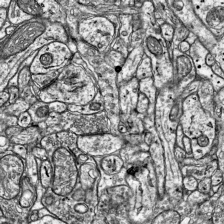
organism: Mouse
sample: Visual Cortex